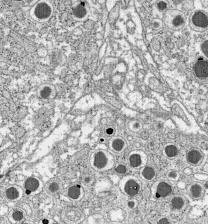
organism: C57BL Mouse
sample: Pancreatic islet